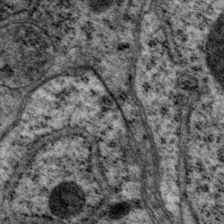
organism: P. pacificus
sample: Pharynx